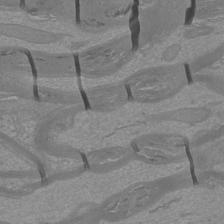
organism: Mouse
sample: Cortical neurons